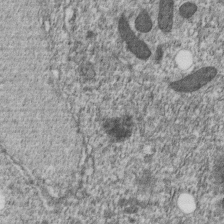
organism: C. elegans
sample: C. elegans embryo early stage